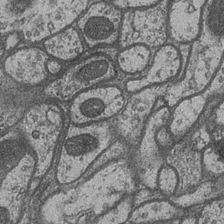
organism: Drosophila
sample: Optic medulla